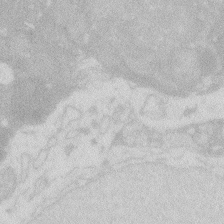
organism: Zebrafish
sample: Macrophage